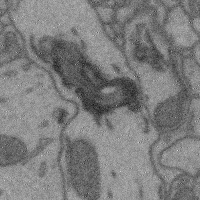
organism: Mouse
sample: Cerebral cortex